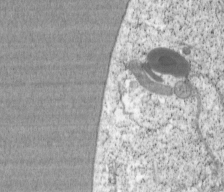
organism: African green monkey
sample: COS-7 cells